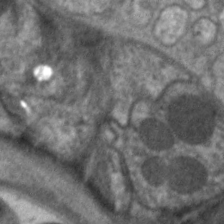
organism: C. elegans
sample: Pharynx